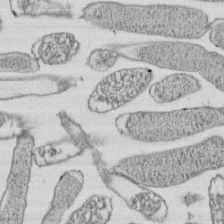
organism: E. coli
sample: Bacterial nucleoid